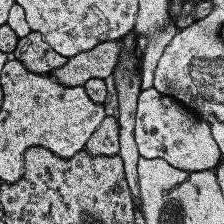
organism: Human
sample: Temporal Lobe